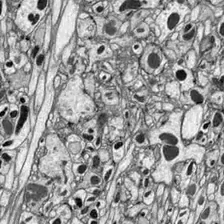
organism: Drosophila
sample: Optic lobe